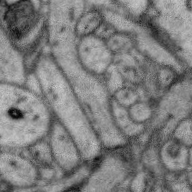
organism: Zebra finch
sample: Brain